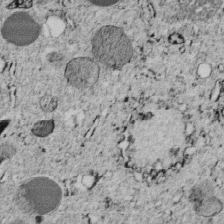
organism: C. elegans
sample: C. elegans embryo early stage